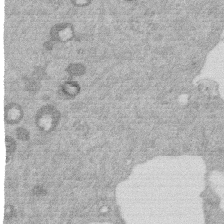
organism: Mouse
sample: Dividing mouse embryo 1 cell stage